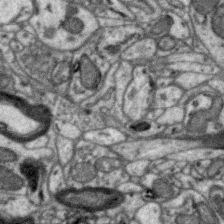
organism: Zebra finch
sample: Brain